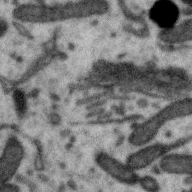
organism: Zebra finch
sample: Brain